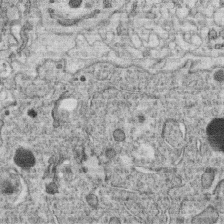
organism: C. elegans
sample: C. elegans oocyte; sperm cells